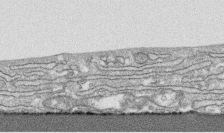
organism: Human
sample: CRL-1474